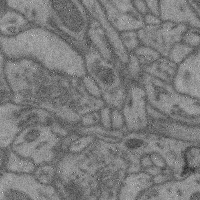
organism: Mouse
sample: Cerebral cortex